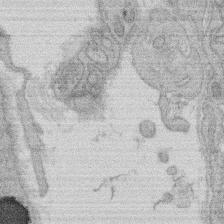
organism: Rat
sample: Salivary granule